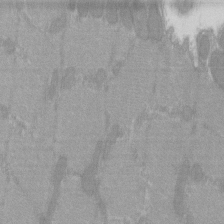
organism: C57BL Mouse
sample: Tibialis anterior muscle cell